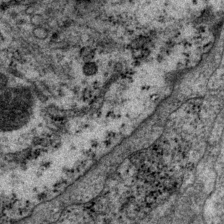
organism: P. pacificus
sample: Pharynx